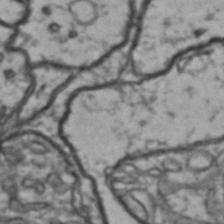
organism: Drosophila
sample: Brain